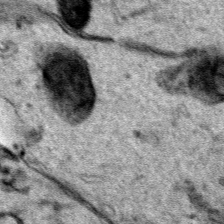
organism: Human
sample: Mitochondria in HCT116 cells